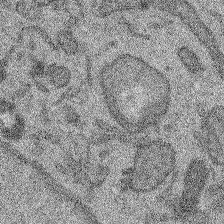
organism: Human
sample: HeLa cells